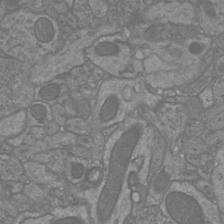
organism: Mouse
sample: Cortical neurons